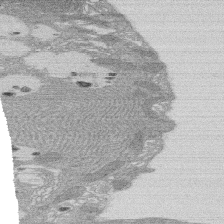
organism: Rat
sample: Salivary granule